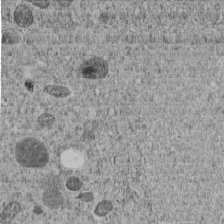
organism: C. elegans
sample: C. elegans embryo early stage